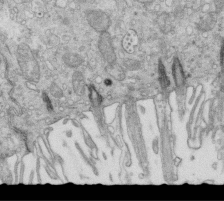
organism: Mouse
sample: Multiciliated cells